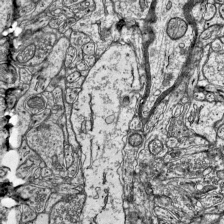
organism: Mouse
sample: Visual Cortex